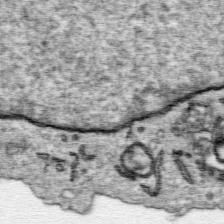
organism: Human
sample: HeLa cells